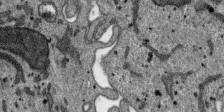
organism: Human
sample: Lung epithelial cells, uninfected (mock) control